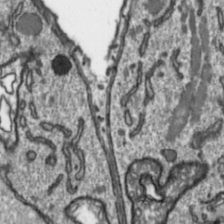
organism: Toxoplasma gondii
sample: Parasites in a vacuole inside a host cell